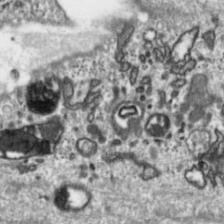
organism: Toxoplasma gondii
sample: Parasites in a vacuole inside a host cell